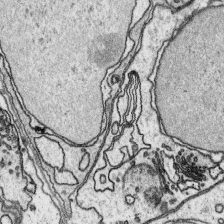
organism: Platynereis dumerilii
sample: Parapodia